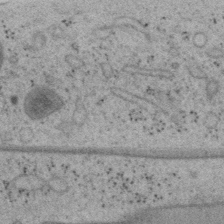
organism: Human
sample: HeLa cells